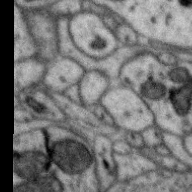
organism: Zebra finch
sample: Brain